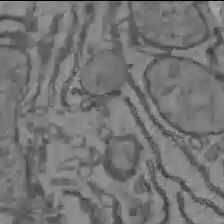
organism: C57BL Mouse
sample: Liver